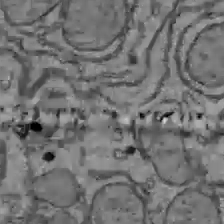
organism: C57BL Mouse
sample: Liver